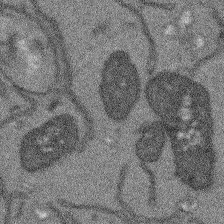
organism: Arabidopsis thaliana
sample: Root tip